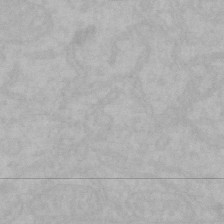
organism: Mouse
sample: Choroid plexus